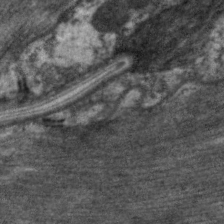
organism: C. elegans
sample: Pharynx